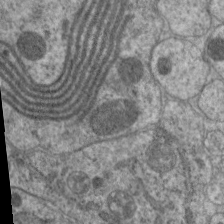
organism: C. elegans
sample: Pharynx